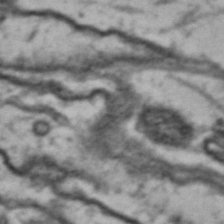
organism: Drosophila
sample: Brain